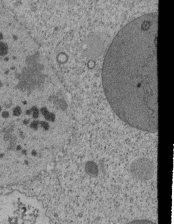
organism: Tetrahymena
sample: Cilia in tetrahymena